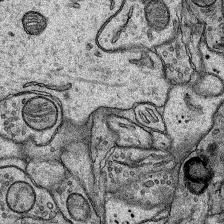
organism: Rat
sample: Hippocampus